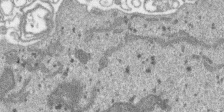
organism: Human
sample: Lung epithelial cells infected with SARS-CoV-2